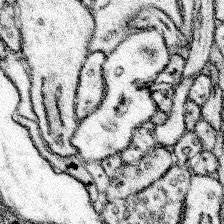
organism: Mouse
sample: Somatosensory cortex neuropil